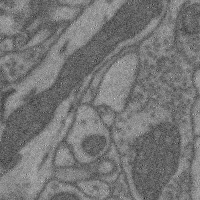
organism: Mouse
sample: Cerebral cortex